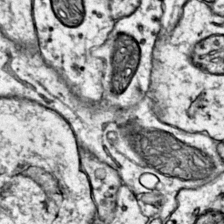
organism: Mouse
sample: Primary visual cortex